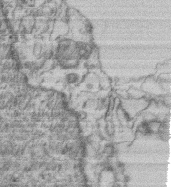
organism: Mouse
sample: T cell stromal cell synapse